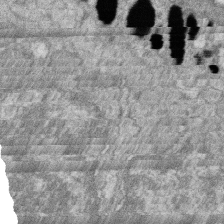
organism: Zebrafish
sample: Cilia; retinal pigment epithelium